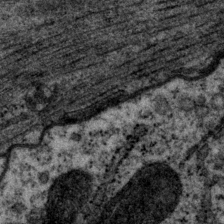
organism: P. pacificus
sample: Pharynx